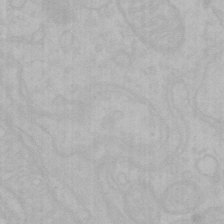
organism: Mouse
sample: Choroid plexus